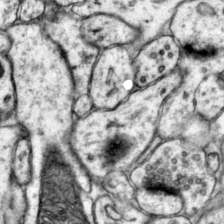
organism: Mouse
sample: Primary visual cortex